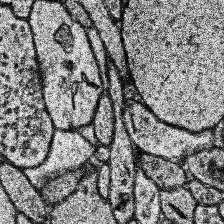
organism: Human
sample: Temporal Lobe